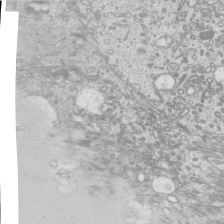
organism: Mouse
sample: Cilia; mouse epididymis